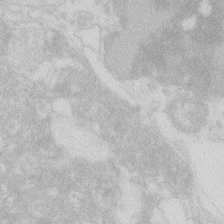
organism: Zebrafish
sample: Macrophage